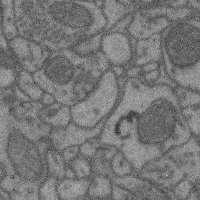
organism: Mouse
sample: Cerebral cortex